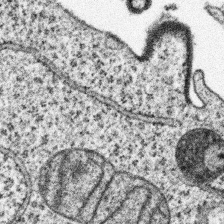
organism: Human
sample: HeLa cells